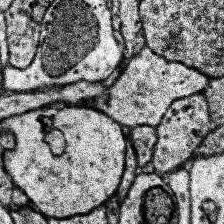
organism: Human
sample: Temporal Lobe